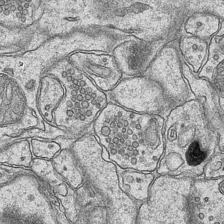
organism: Mouse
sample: CA1 Hippocampus